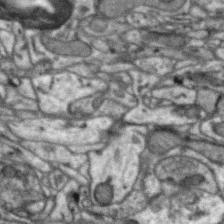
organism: Zebra finch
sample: Brain